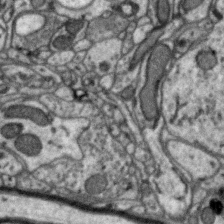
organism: Zebra finch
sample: Brain